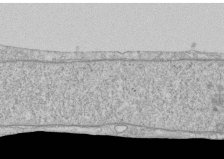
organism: Human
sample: CRL-1474